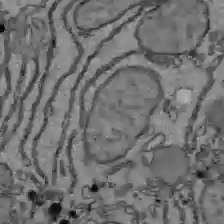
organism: C57BL Mouse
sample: Liver